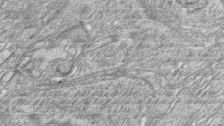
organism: Zebrafish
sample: synaptic ribbons in rod cells and cone cells